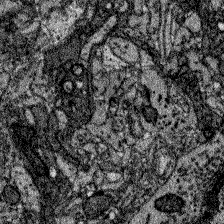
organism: Zebrafish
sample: Larval olfactory bulb